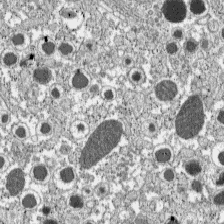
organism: C57BL Mouse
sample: Pancreatic islet